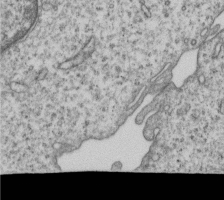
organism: Human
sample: MDA-MB-231 cells